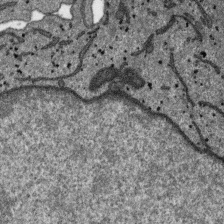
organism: Human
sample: Lung epithelial cells, uninfected (mock) control